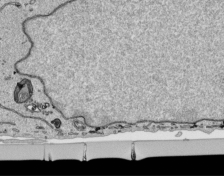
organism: Human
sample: Mitochondria in HCT116 cells